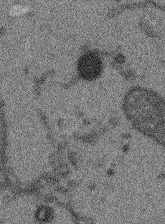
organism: Arabidopsis thaliana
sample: Root tip